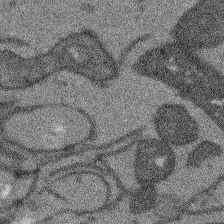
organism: Arabidopsis thaliana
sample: Root tip